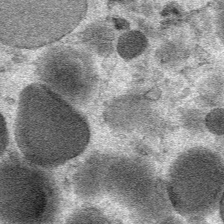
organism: Mouse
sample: Mouse Salivary gland